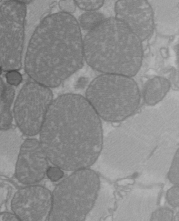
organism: C57BL Mouse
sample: Heart